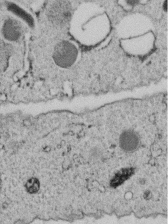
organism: C. elegans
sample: C. elegans embryo early stage